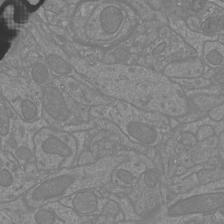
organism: Mouse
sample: Cortical neurons